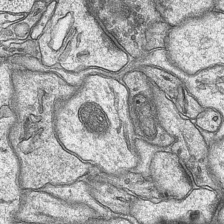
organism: Mouse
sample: CA1 Hippocampus